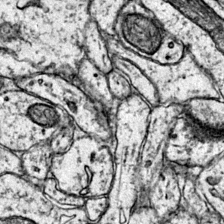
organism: Mouse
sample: Primary visual cortex